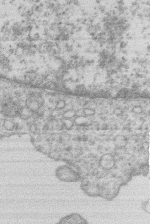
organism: Human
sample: Macrophage cells